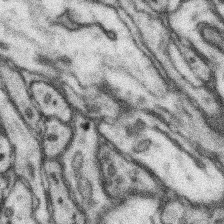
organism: Mouse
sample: Somatosensory cortex neuropil